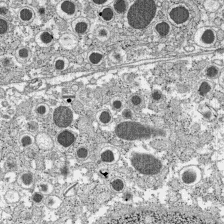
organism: C57BL Mouse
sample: Pancreatic islet